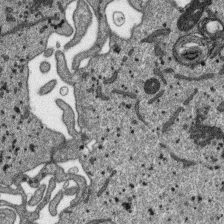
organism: Human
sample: Lung epithelial cells infected with SARS-CoV-2